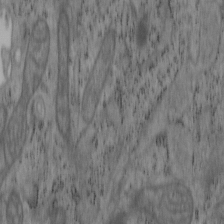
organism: Human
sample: HeLa cells